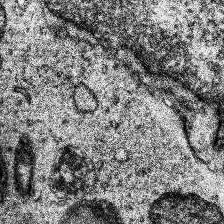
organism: Human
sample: Temporal Lobe